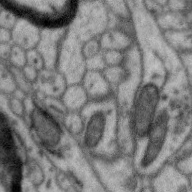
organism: Zebra finch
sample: Brain